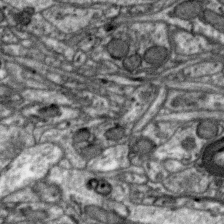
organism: Zebra finch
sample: Brain